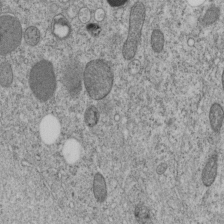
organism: C. elegans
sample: C. elegans embryo early stage